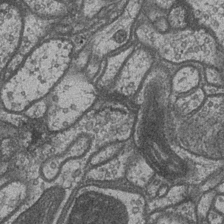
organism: Drosophila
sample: Optic medulla